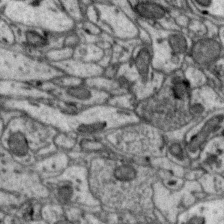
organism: Zebra finch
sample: Brain